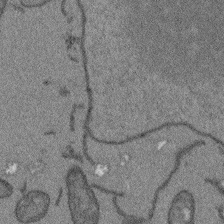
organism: Arabidopsis thaliana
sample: Root tip